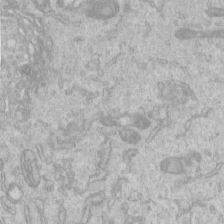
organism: Human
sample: Centriole in RPE cells